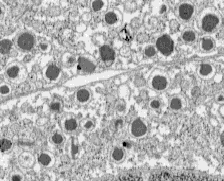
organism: C57BL Mouse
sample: Pancreatic islet